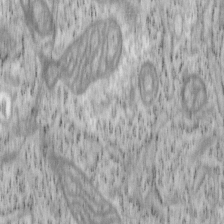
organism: Human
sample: HeLa cells